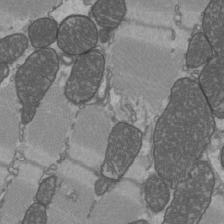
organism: C57BL Mouse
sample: Heart